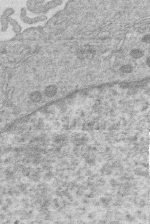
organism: Human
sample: Macrophage cells